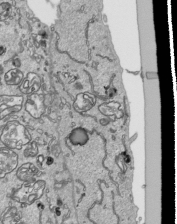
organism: Human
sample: Mitochondria in HCT116 cells